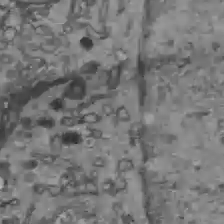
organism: C57BL Mouse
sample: Liver